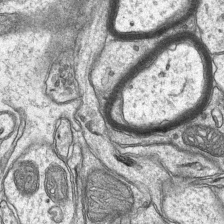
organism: Mouse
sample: CA1 Hippocampus